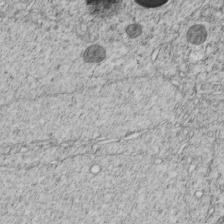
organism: C. elegans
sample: C. elegans embryo early stage